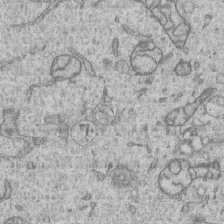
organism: Human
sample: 1205lu cells